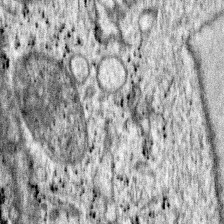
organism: Human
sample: HeLa cells